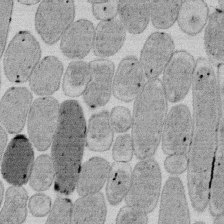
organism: E. coli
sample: Bacterial nucleoid